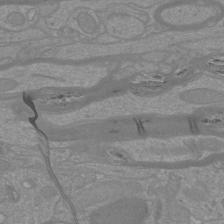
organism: Mouse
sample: Cortical neurons